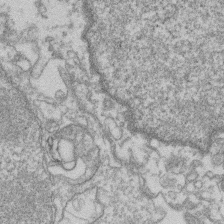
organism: Mouse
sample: T cell stromal cell synapse